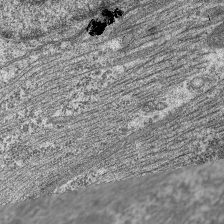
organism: C. elegans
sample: Pharynx